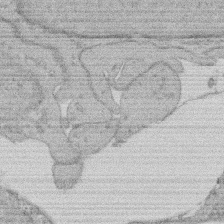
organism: Rat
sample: Salivary granule